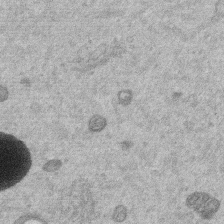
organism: Mouse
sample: Dividing mouse embryo 1 cell stage